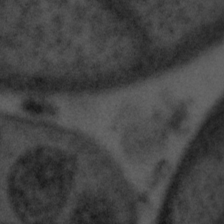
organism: Tuwongella immobilis